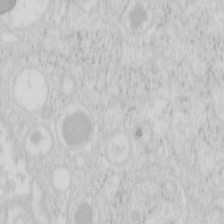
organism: Mouse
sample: Pancreas